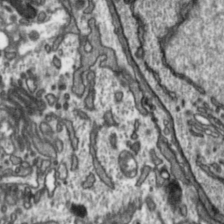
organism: Toxoplasma gondii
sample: Parasites in a vacuole inside a host cell